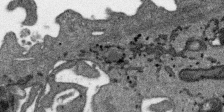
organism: Human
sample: Lung epithelial cells, uninfected (mock) control